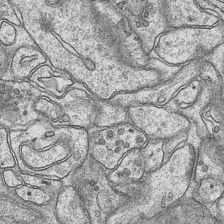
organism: Mouse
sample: CA1 Hippocampus